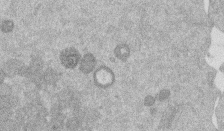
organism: Mouse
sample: Dividing mouse embryo 1 cell stage